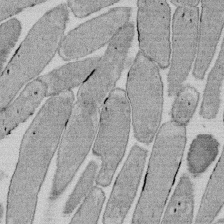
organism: E. coli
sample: Bacterial nucleoid